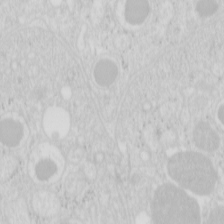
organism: Mouse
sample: Pancreas